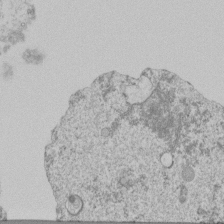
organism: Mouse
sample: Activated Pmel transgenic CD8+ T Cells